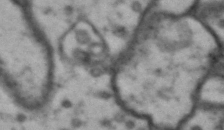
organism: Drosophila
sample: Brain